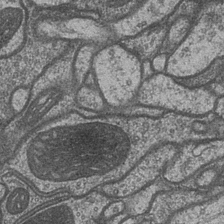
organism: Drosophila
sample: Optic medulla